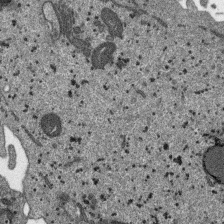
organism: Human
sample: Lung epithelial cells infected with SARS-CoV-2